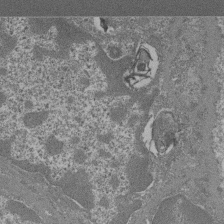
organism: Mouse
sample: Glomerulus